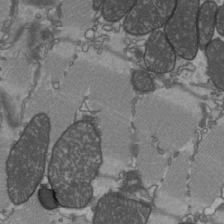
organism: C57BL Mouse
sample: Heart